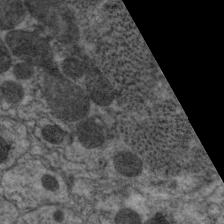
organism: C. elegans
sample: Pharynx